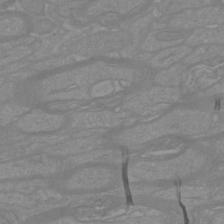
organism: Mouse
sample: Cortical neurons